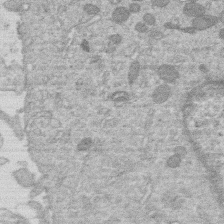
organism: Human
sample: Macrophage cells